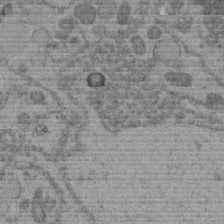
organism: C. elegans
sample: C. elegans embryo early stage